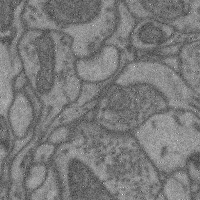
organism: Mouse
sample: Cerebral cortex